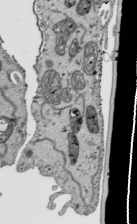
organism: Human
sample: Mitochondria in HCT116 cells